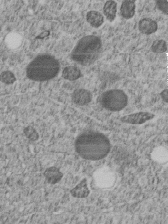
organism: C. elegans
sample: C. elegans embryo early stage